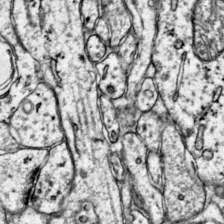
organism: Mouse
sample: Primary visual cortex